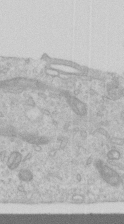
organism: Human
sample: Centriole in RPE cells